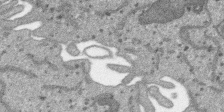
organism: Human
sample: Lung epithelial cells infected with SARS-CoV-2